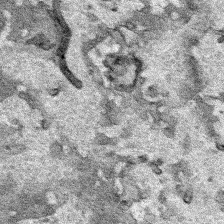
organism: Human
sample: Mitochondria in HCT116 cells